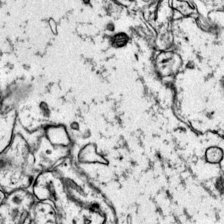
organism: Mouse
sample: Primary visual cortex